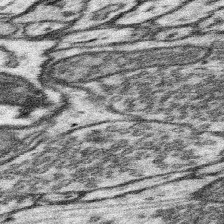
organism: Mouse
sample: Somatosensory cortex neuropil